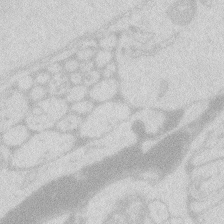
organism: Zebrafish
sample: Macrophage